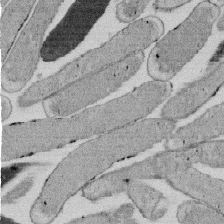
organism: E. coli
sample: Bacterial nucleoid